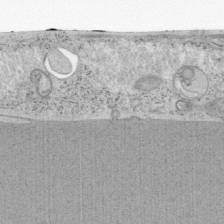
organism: Human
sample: HeLa cells